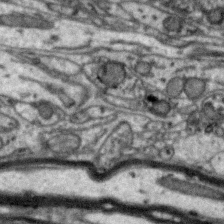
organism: Zebra finch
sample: Brain